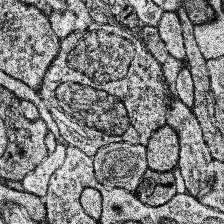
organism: Human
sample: Temporal Lobe